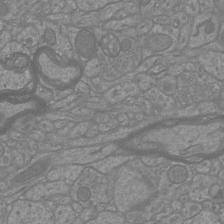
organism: Mouse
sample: Cortical neurons